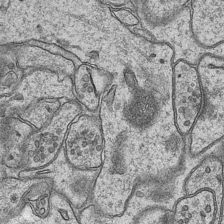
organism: Mouse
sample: CA1 Hippocampus